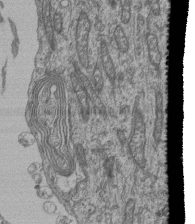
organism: Human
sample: Retinal organoid Rod and Cone cells